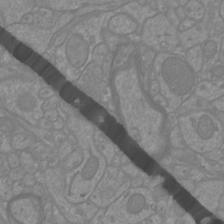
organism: Mouse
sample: Cortical neurons